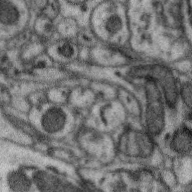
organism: Zebra finch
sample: Brain